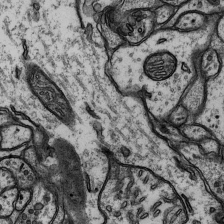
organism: Rat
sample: Hippocampus